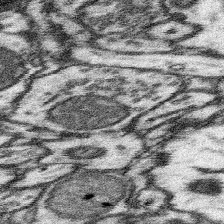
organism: Mouse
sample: Somatosensory cortex neuropil